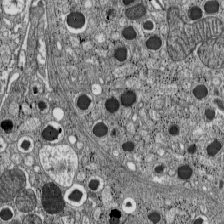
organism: C57BL Mouse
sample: Pancreatic islet